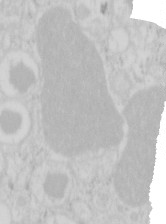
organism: Mouse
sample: Pancreas